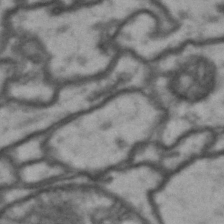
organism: Drosophila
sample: Brain